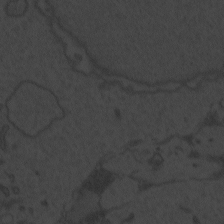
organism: Zebrafish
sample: Macrophage infected with Toxoplasma gondii